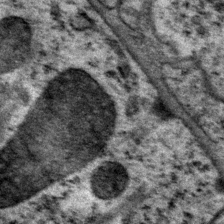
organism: P. pacificus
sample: Pharynx